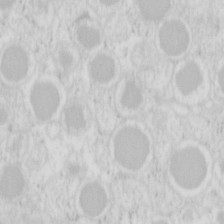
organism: Mouse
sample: Pancreas